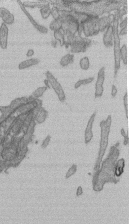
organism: Human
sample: Retinal organoid Rod and Cone cells